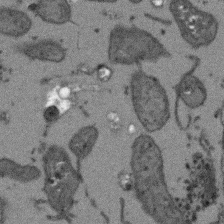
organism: Arabidopsis thaliana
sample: Root tip